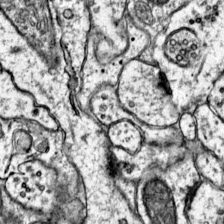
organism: Mouse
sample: Primary visual cortex